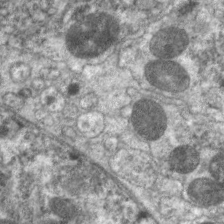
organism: C. elegans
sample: Pharynx